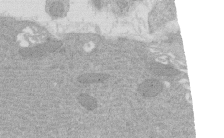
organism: Rat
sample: Salivary granule